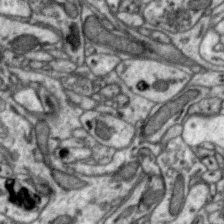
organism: Zebra finch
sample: Brain